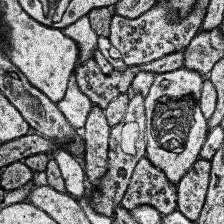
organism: Human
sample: Temporal Lobe